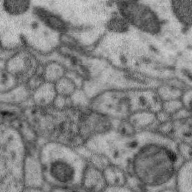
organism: Zebra finch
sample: Brain